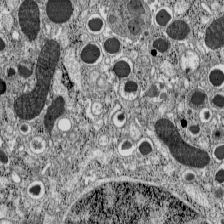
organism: C57BL Mouse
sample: Pancreatic islet